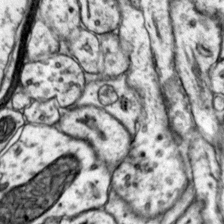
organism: Mouse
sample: Primary visual cortex